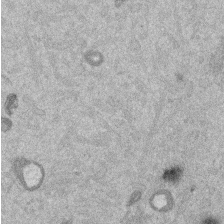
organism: Mouse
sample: Dividing mouse embryo 1 cell stage